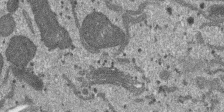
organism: Human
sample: Lung epithelial cells infected with SARS-CoV-2